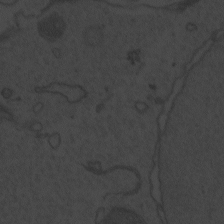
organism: Zebrafish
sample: Macrophage infected with Toxoplasma gondii